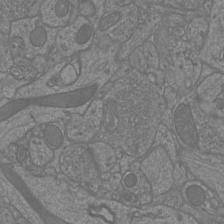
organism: Mouse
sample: Cortical neurons